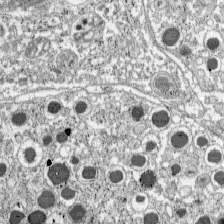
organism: C57BL Mouse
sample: Pancreatic islet